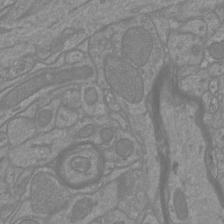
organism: Mouse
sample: Cortical neurons